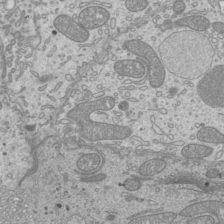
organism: Mouse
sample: Cilia; mouse epididymis